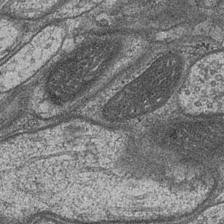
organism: Drosophila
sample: Optic medulla